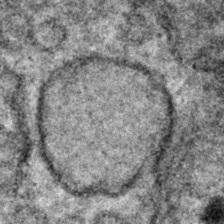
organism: Zebrafish